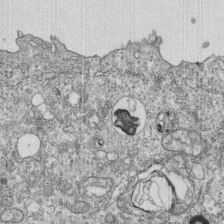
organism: Human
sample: HeLa cell HIV synapse